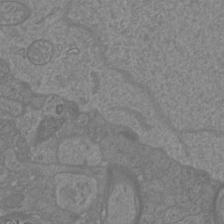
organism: Mouse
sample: Cortical neurons